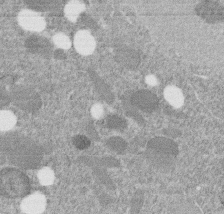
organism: C. elegans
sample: C. elegans embryo early stage